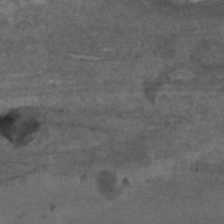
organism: C. elegans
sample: C. elegans embryo